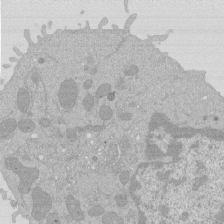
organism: Mouse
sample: Activated Pmel transgenic CD8+ T Cells